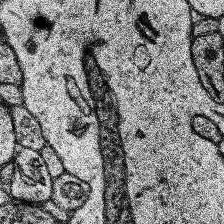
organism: Human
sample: Temporal Lobe